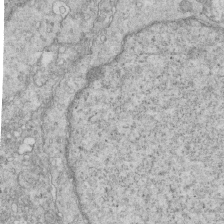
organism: Mouse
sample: Multiciliated cells